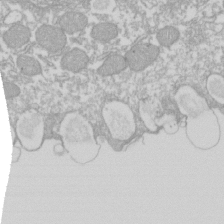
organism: Xenopus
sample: Cilia; centrioles in frog embryo cells